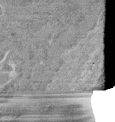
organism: Mouse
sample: Glomerulus